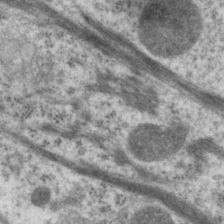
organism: P. pacificus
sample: Pharynx